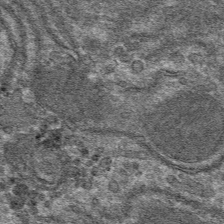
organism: Mouse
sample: Mouse hepatocytes